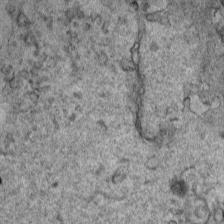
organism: Human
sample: Mitochondria in HCT116 cells